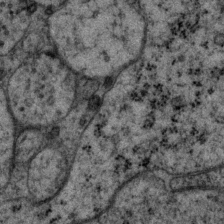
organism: P. pacificus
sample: Pharynx